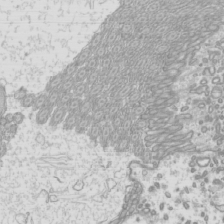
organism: Mouse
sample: Cilia; mouse epididymis